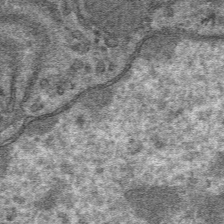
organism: Mouse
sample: Mouse hepatocytes